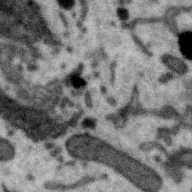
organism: Zebra finch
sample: Brain